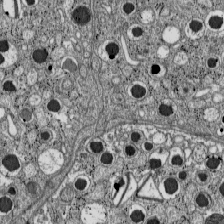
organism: C57BL Mouse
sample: Pancreatic islet